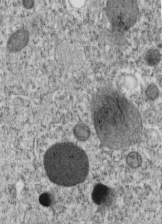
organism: C. elegans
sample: C. elegans embryo early stage